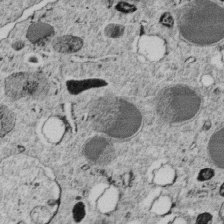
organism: C. elegans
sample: C. elegans embryo early stage